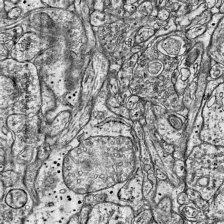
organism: Mouse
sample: Visual Cortex